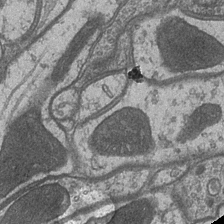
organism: Drosophila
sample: Optic medulla